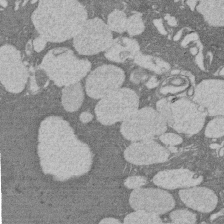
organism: Rat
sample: Salivary granule